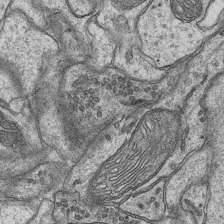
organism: Mouse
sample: CA1 Hippocampus